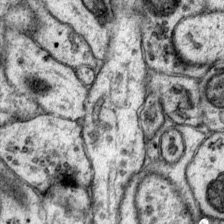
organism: Mouse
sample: Primary visual cortex